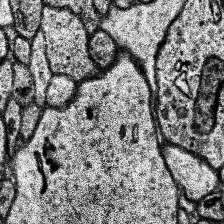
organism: Human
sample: Temporal Lobe